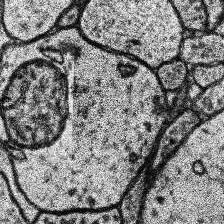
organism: Human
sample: Temporal Lobe